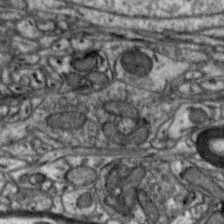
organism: Zebra finch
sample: Brain